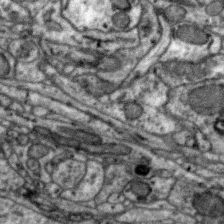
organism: Zebra finch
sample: Brain